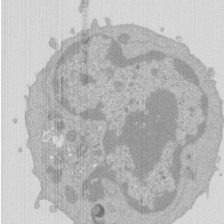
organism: Mouse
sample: Activated Pmel transgenic CD8+ T Cells